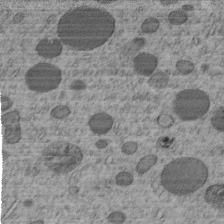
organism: C. elegans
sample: C. elegans embryo early stage